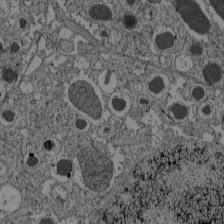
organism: C57BL Mouse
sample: Pancreatic islet